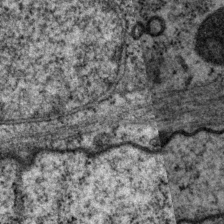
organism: P. pacificus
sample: Pharynx